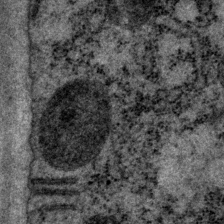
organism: P. pacificus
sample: Pharynx